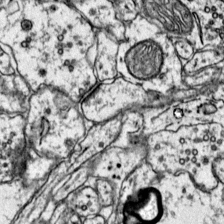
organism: Mouse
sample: Primary visual cortex